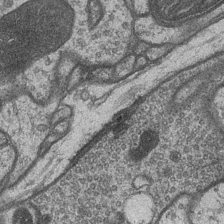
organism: Drosophila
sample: Optic medulla